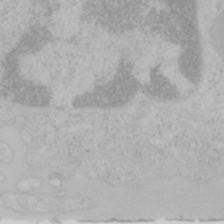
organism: Mouse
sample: OT-I killer T cells with ID8 ovarian cancer cells